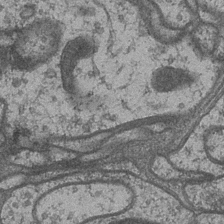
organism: Drosophila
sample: Optic medulla